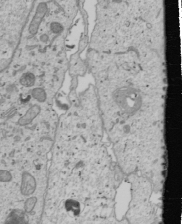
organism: Human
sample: Mitochondria in U2OS cells